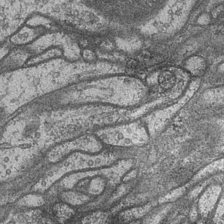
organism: Drosophila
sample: Optic medulla